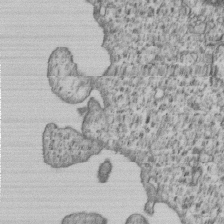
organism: Human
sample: MDA-MB-231 cells